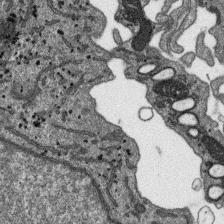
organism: Human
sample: Lung epithelial cells infected with SARS-CoV-2